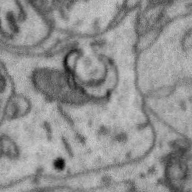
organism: Zebra finch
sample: Brain